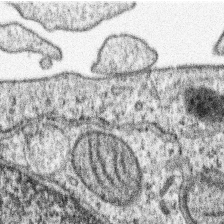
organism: Human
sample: HeLa cells